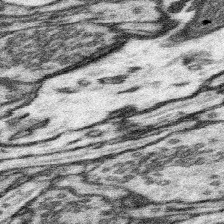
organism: Mouse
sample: Somatosensory cortex neuropil